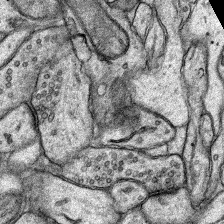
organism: Rat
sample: Hippocampus